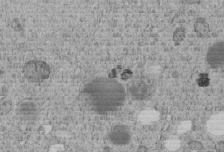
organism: C. elegans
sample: C. elegans embryo early stage